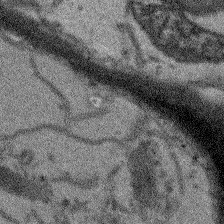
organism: Arabidopsis thaliana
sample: Root tip